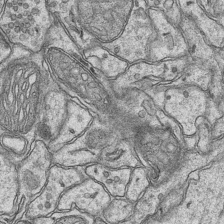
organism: Mouse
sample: CA1 Hippocampus